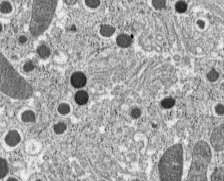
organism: C57BL Mouse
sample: Pancreatic islet